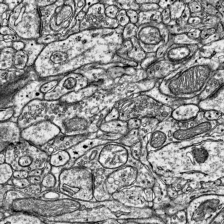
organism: Mouse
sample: Visual Cortex